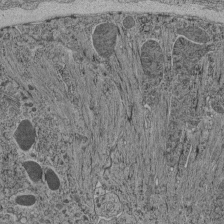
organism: C. elegans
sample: C. elegans pharynx